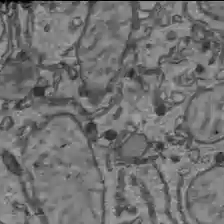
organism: C57BL Mouse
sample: Liver